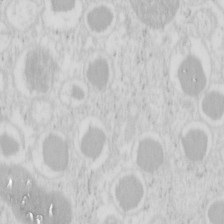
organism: Mouse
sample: Pancreas